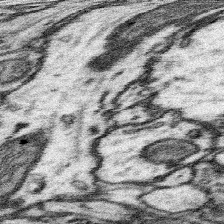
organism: Mouse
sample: Somatosensory cortex neuropil